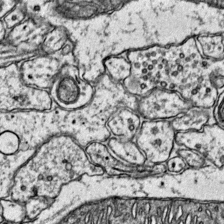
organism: Mouse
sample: Primary visual cortex